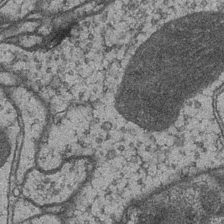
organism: Drosophila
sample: Optic medulla